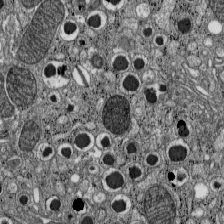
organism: C57BL Mouse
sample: Pancreatic islet